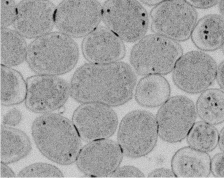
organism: E. coli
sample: Bacterial nucleoid